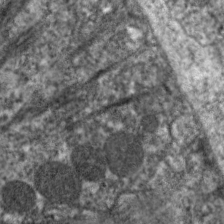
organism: C. elegans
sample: Pharynx